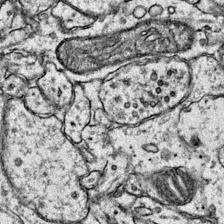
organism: Mouse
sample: Primary visual cortex